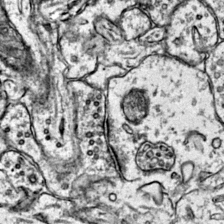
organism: Mouse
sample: Primary visual cortex